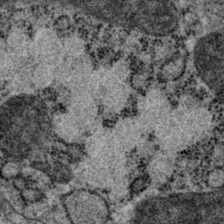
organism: P. pacificus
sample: Pharynx